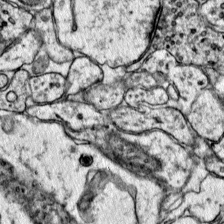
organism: Mouse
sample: Primary visual cortex